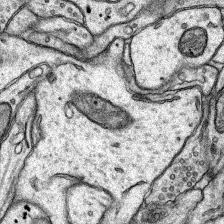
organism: Rat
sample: Hippocampus